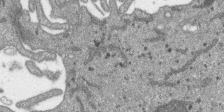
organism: Human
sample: Lung epithelial cells infected with SARS-CoV-2